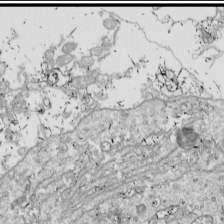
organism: Drosophila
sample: Cell division; meiosis; drosophila spermatocytes